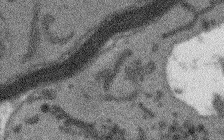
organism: Arabidopsis thaliana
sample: Root tip